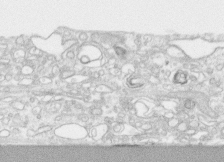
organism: Human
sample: CRL-1474